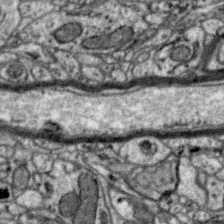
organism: Zebra finch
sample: Brain